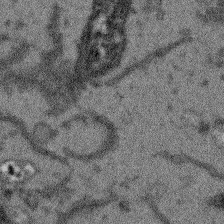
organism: Arabidopsis thaliana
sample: Root tip